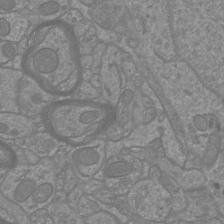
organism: Mouse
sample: Cortical neurons